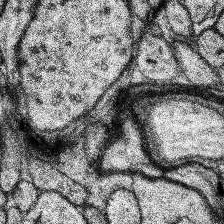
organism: Human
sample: Temporal Lobe